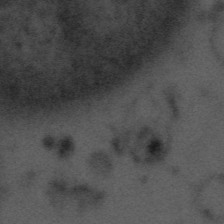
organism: Tuwongella immobilis